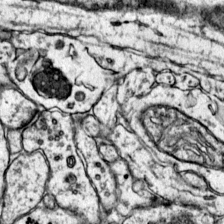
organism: Mouse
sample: Primary visual cortex